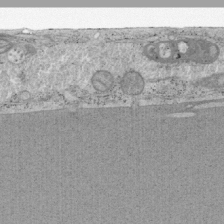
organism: Human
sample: HeLa cells